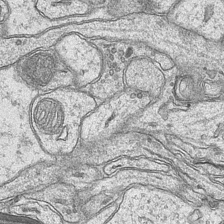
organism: Mouse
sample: CA1 Hippocampus